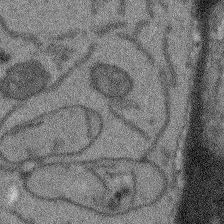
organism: Arabidopsis thaliana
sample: Root tip